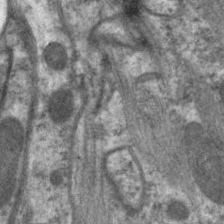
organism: C. elegans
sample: Pharynx